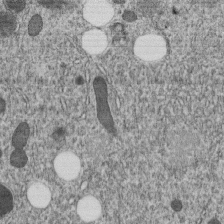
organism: C. elegans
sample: C. elegans embryo early stage